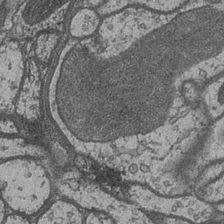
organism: Drosophila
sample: Optic medulla